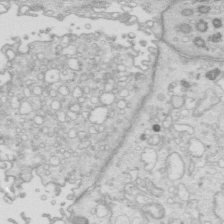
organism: Mouse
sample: Multiciliated cells